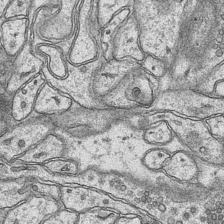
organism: Mouse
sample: CA1 Hippocampus